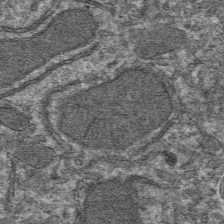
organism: Mouse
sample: Mouse hepatocytes